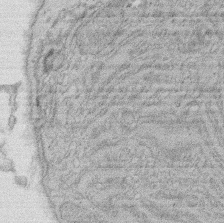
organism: Rat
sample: Salivary granule